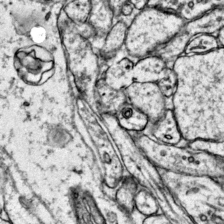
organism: Mouse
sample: Primary visual cortex